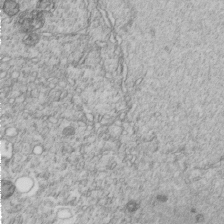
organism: C. elegans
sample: C. elegans embryo early stage